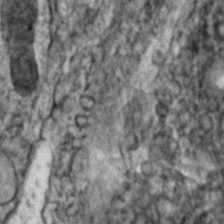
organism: Zebrafish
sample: Zebrafish embryo